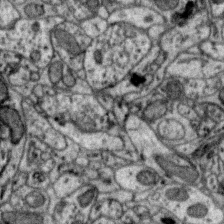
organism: Zebra finch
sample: Brain